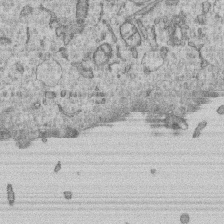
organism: Human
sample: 1205lu cells